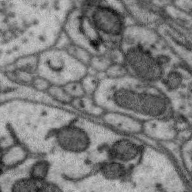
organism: Zebra finch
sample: Brain